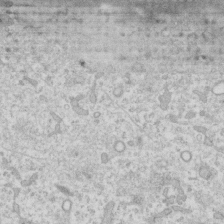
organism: Human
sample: Fibroblast cells